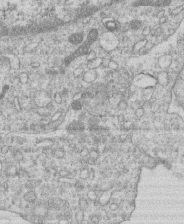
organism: Human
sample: Macrophage cells